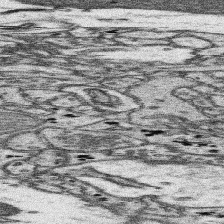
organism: Mouse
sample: Somatosensory cortex neuropil